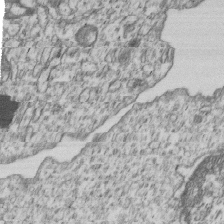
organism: Human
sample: MDA-MB-231 cells